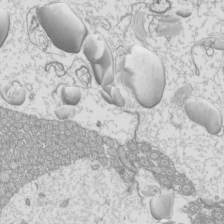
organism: Mouse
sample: Cilia; mouse epididymis